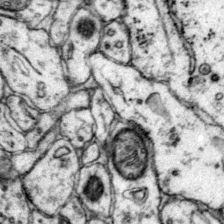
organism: Mouse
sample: Primary visual cortex